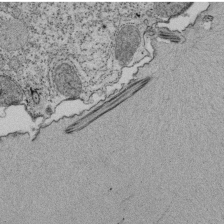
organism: Tetrahymena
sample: Cilia in tetrahymena